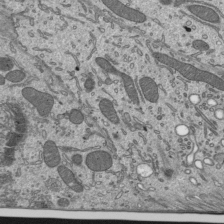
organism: Mouse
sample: Mouse epididymis efferent ductule cilia